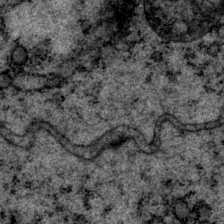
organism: P. pacificus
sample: Pharynx